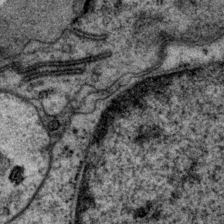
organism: P. pacificus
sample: Pharynx